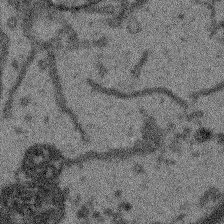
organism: Arabidopsis thaliana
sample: Root tip